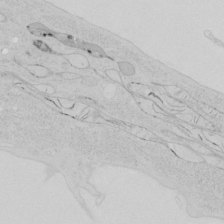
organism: Human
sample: Mitochondria in HCT116 cells